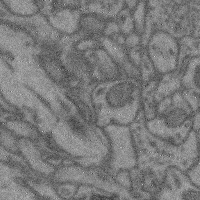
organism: Mouse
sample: Cerebral cortex